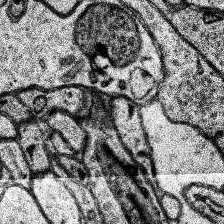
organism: Human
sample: Temporal Lobe